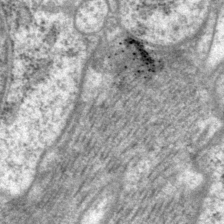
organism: P. pacificus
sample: Pharynx